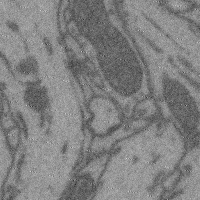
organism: Mouse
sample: Cerebral cortex